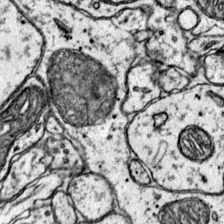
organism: Mouse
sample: Primary visual cortex